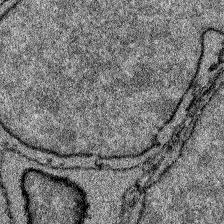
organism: Zebrafish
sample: Larval olfactory bulb